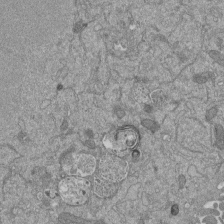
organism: Mouse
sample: ED-1 cell nuclei; centrioles